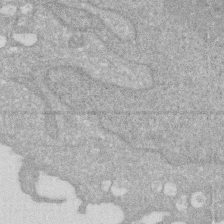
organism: Human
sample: HIV infected U937 cells